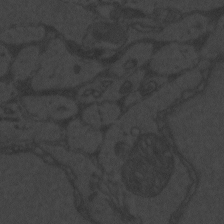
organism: Zebrafish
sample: Macrophage infected with Toxoplasma gondii